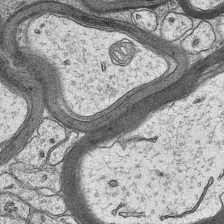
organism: Mouse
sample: CA1 Hippocampus